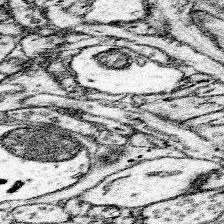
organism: Mouse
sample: Somatosensory cortex neuropil